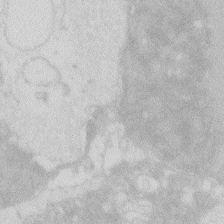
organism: Zebrafish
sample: Macrophage